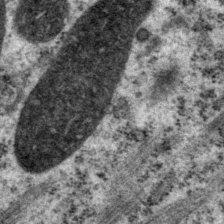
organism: P. pacificus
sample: Pharynx